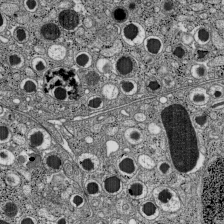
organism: C57BL Mouse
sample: Pancreatic islet